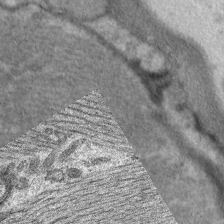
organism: C. elegans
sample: Pharynx